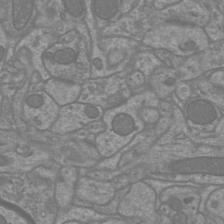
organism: Mouse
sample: Cortical neurons